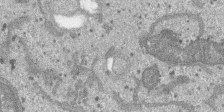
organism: Human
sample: Lung epithelial cells infected with SARS-CoV-2